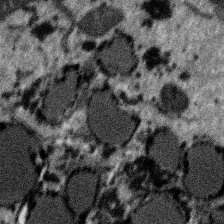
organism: Human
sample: Lung epithelial cells infected with SARS-CoV-2